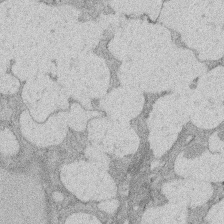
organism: Rat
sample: Salivary granule